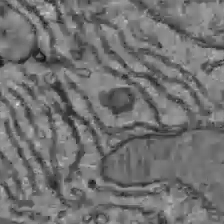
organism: C57BL Mouse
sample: Liver